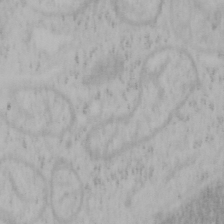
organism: Mouse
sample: OT-I killer T cells with ID8 ovarian cancer cells